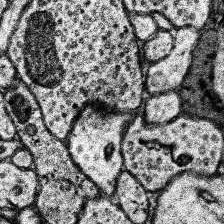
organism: Human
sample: Temporal Lobe